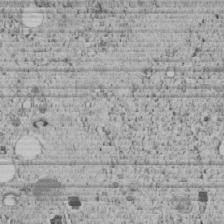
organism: C. elegans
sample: C. elegans embryo early stage